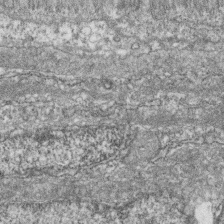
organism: Zebrafish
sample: Cilia; retinal pigment epithelium